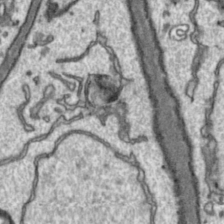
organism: Toxoplasma gondii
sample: Parasites in a vacuole inside a host cell